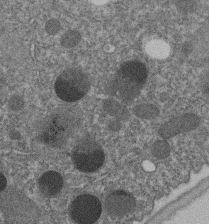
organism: C. elegans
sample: C. elegans embryo early stage